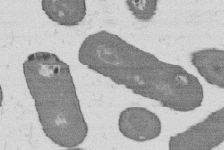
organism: B. subtilis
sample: Bacterial spore